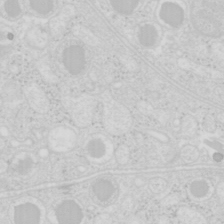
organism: Mouse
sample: Pancreas